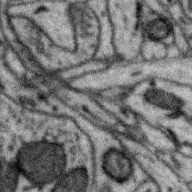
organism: Zebra finch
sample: Brain